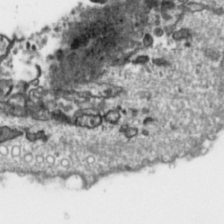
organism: Toxoplasma gondii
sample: Parasites in a vacuole inside a host cell